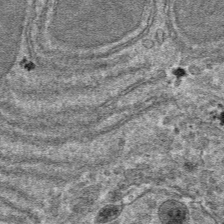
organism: Mouse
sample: Mouse hepatocytes